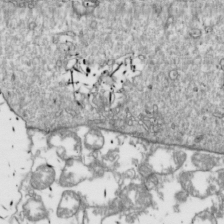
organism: Drosophila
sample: Cell division; meiosis; drosophila spermatocytes